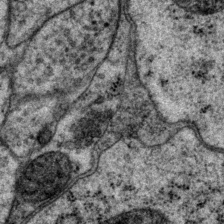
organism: P. pacificus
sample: Pharynx